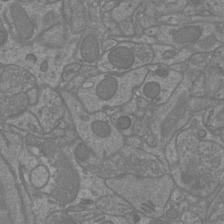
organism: Mouse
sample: Cortical neurons